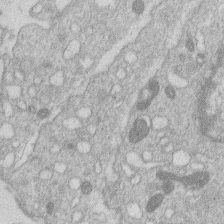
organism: Human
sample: Macrophage cells